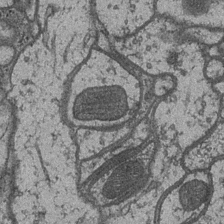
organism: Drosophila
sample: Optic medulla